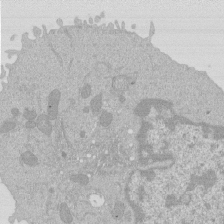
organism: Mouse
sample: Activated Pmel transgenic CD8+ T Cells